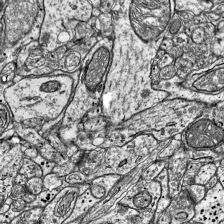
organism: Mouse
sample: Visual Cortex